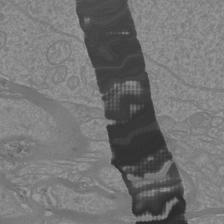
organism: Mouse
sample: Cortical neurons